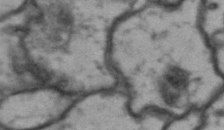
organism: Drosophila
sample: Brain